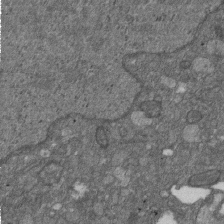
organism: Drosophila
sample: Nephrocyte